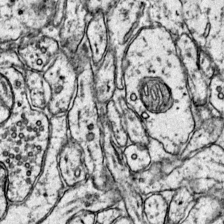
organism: Mouse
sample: Primary visual cortex